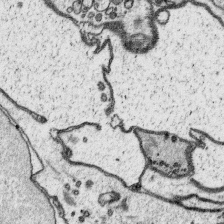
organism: Platynereis dumerilii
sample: Parapodia